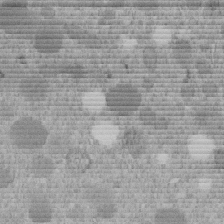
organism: C. elegans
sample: C. elegans embryo early stage